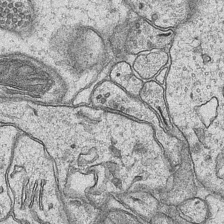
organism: Mouse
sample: CA1 Hippocampus